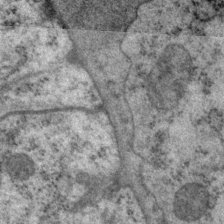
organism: P. pacificus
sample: Pharynx